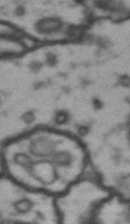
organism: Drosophila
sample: Brain